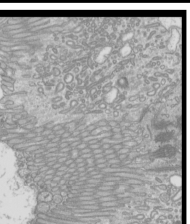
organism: Mouse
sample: Cilia; mouse epididymis